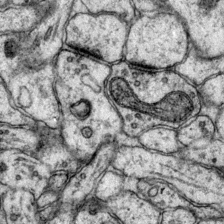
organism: Mouse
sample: Primary visual cortex